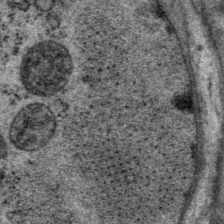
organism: P. pacificus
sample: Pharynx